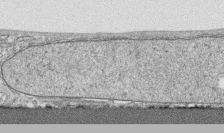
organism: Human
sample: CRL-1474